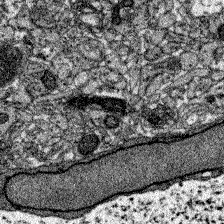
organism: Zebrafish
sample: Larval olfactory bulb